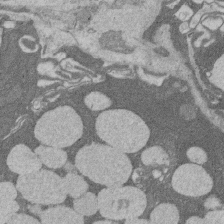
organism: Rat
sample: Salivary granule